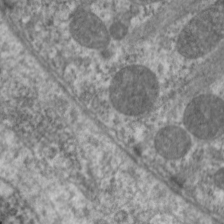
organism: C. elegans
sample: Pharynx